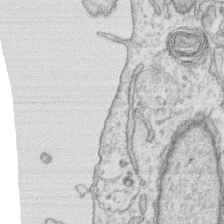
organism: Human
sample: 1205lu cells